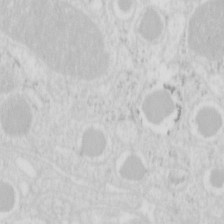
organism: Mouse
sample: Pancreas